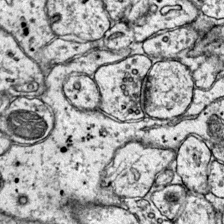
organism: Mouse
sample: Primary visual cortex